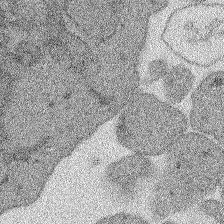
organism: Human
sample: HeLa cells